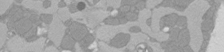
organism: Rat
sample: Left ventricle